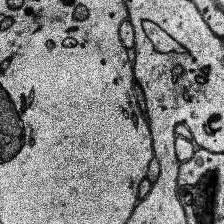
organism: Human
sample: Temporal Lobe